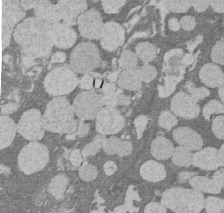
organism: Rat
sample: Salivary granule